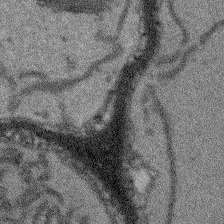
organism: Arabidopsis thaliana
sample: Root tip